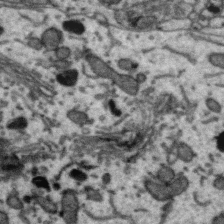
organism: Zebra finch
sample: Brain